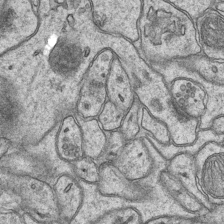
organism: Mouse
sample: CA1 Hippocampus